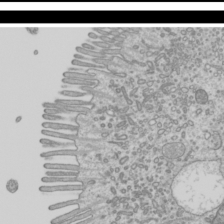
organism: Mouse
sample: Cilia; mouse epididymis